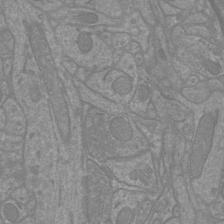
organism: Mouse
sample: Cortical neurons